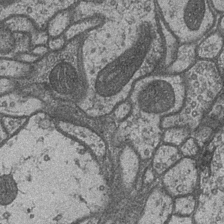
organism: Drosophila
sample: Optic medulla